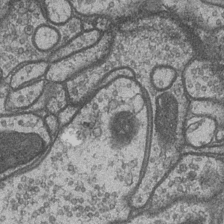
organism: Drosophila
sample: Optic medulla